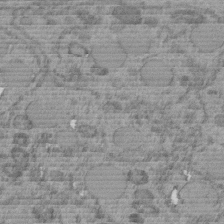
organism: C. elegans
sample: C. elegans embryo early stage